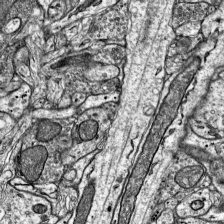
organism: Mouse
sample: Visual Cortex